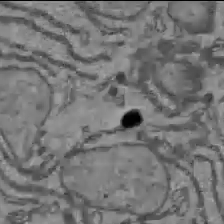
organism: C57BL Mouse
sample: Liver